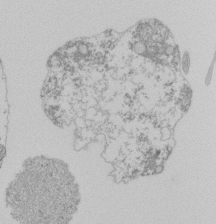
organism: Mouse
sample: Activated Pmel transgenic CD8+ T Cells